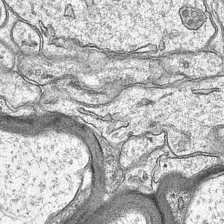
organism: Mouse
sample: CA1 Hippocampus